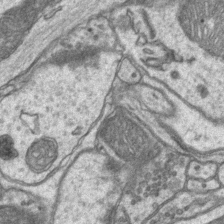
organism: Mouse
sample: CA1 Hippocampus